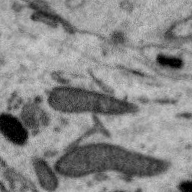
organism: Zebra finch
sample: Brain